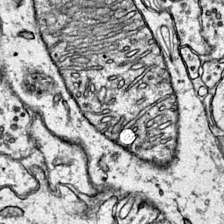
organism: Mouse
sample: Primary visual cortex